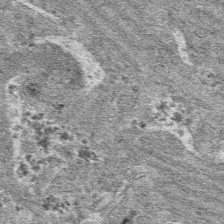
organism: Mouse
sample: Mouse hepatocytes